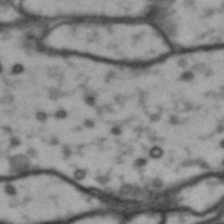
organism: Drosophila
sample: Brain